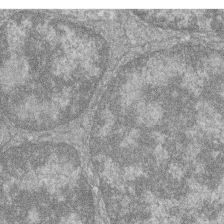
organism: Zebrafish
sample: Cilia; retinal pigment epithelium